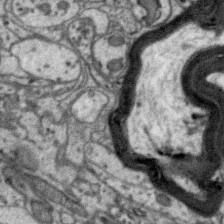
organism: Zebra finch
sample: Brain